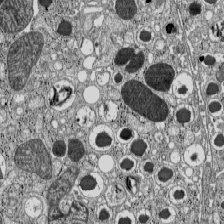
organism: C57BL Mouse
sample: Pancreatic islet